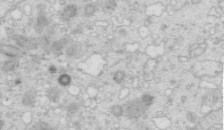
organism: Mouse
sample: Multiciliated cells